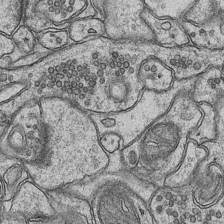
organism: Mouse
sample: CA1 Hippocampus